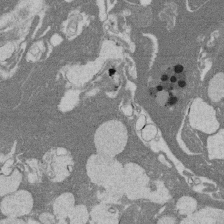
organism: Rat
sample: Salivary granule